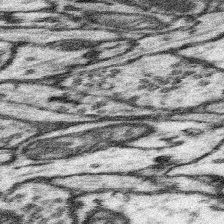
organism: Mouse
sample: Somatosensory cortex neuropil